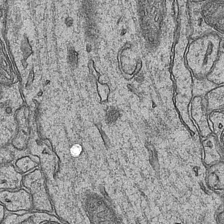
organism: Mouse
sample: CA1 Hippocampus